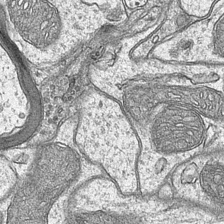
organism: Mouse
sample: CA1 Hippocampus